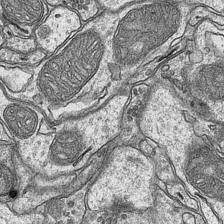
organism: Mouse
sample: CA1 Hippocampus